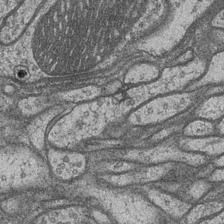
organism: Drosophila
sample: Optic medulla